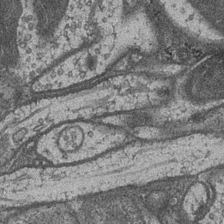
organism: Drosophila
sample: Optic medulla